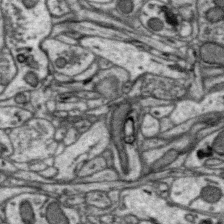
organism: Zebra finch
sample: Brain